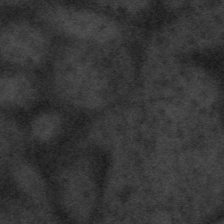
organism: Tuwongella immobilis